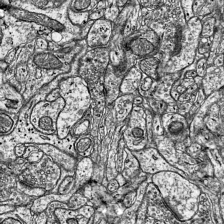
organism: Mouse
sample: Visual Cortex